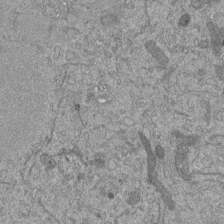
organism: Mouse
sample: ED-1 cell nuclei; centrioles